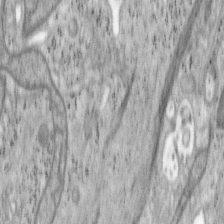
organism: Human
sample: HeLa cells